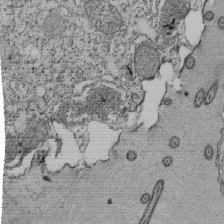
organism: Tetrahymena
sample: Cilia in tetrahymena